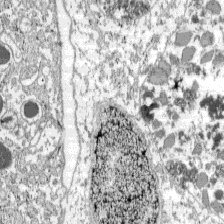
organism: C57BL Mouse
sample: Pancreatic islet